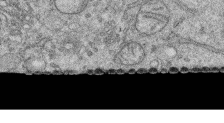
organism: Human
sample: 1205lu cells